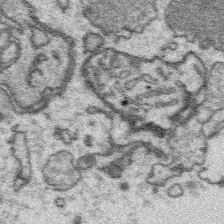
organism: Platynereis dumerilii